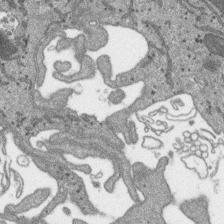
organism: Human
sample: Lung epithelial cells infected with SARS-CoV-2